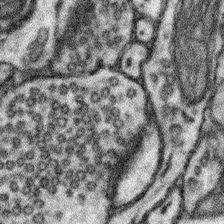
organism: Mouse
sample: Somatosensory cortex neuropil